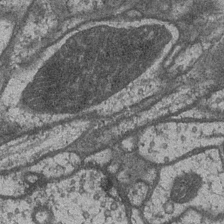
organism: Drosophila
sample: Optic medulla